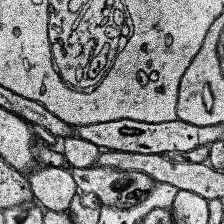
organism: Human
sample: Temporal Lobe